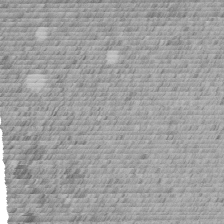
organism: C. elegans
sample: C. elegans embryo early stage